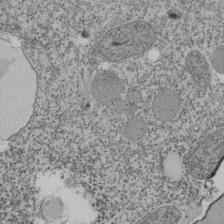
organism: Tetrahymena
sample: Cilia in tetrahymena